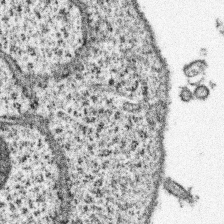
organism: Human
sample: HeLa cells